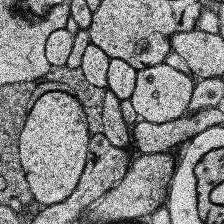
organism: Human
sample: Temporal Lobe